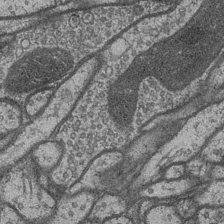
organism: Drosophila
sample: Optic medulla